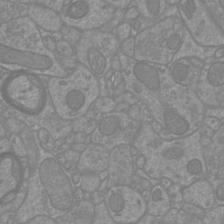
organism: Mouse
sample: Cortical neurons